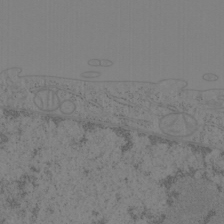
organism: Human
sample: HeLa cells